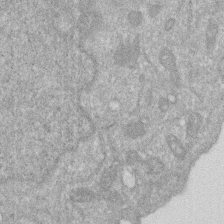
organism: Human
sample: HIV infected U937 cells